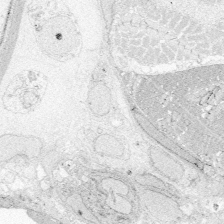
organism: Zebrafish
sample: Whole-Brain